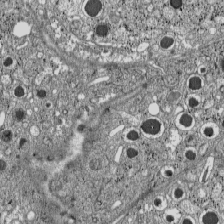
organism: C57BL Mouse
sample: Pancreatic islet